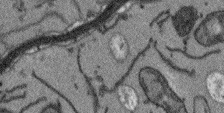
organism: Arabidopsis thaliana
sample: Root tip